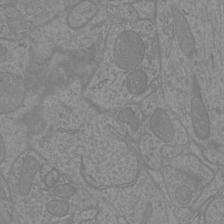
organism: Mouse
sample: Cortical neurons